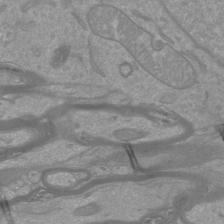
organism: Mouse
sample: Cortical neurons